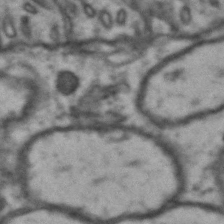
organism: Drosophila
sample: Brain